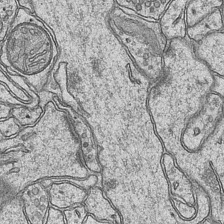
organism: Mouse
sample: CA1 Hippocampus